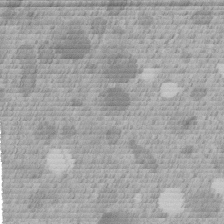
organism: C. elegans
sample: C. elegans embryo early stage